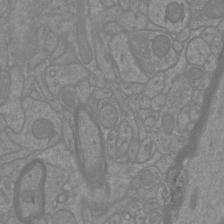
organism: Mouse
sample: Cortical neurons